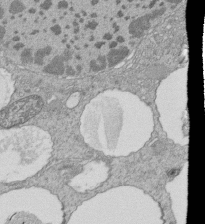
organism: Tetrahymena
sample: Cilia in tetrahymena